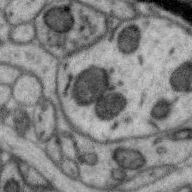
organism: Zebra finch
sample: Brain